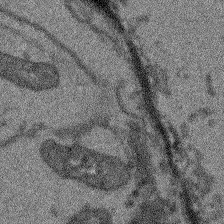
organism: Arabidopsis thaliana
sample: Root tip